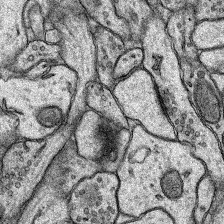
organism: Rat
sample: Hippocampus